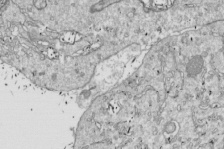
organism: Drosophila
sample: Cell division; meiosis; drosophila spermatocytes